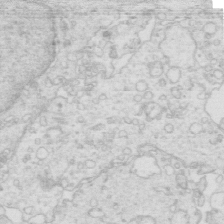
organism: Mouse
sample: Multiciliated cells